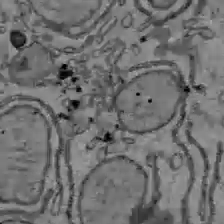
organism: C57BL Mouse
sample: Liver